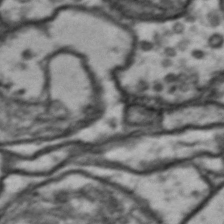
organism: Drosophila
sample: Brain